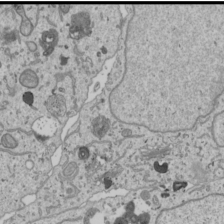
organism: Human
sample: Mitochondria in U2OS cells